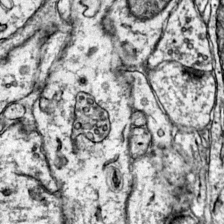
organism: Mouse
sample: Primary visual cortex